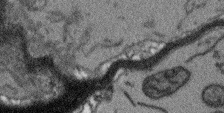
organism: Arabidopsis thaliana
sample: Root tip